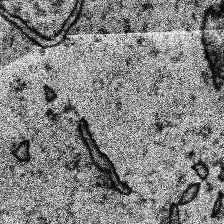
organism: Human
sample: Temporal Lobe